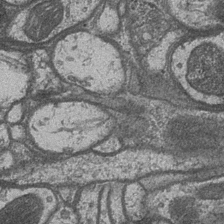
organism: Drosophila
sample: Optic medulla